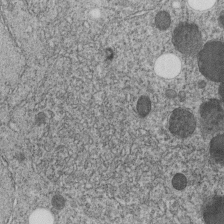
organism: C. elegans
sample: C. elegans embryo early stage